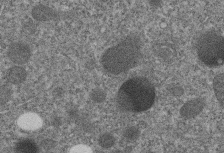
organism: C. elegans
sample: C. elegans embryo early stage